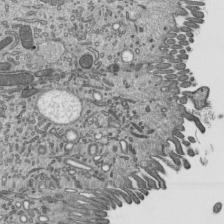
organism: Mouse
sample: Mouse epididymis efferent ductule cilia